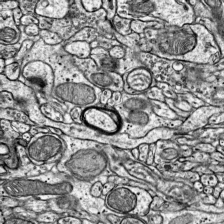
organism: Mouse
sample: Visual Cortex